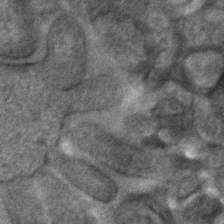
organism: C. elegans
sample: C. elegans embryo